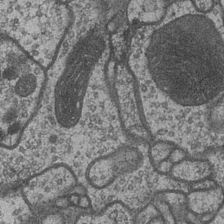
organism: Drosophila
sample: Optic medulla